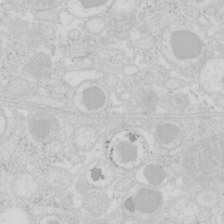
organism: Mouse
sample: Pancreas